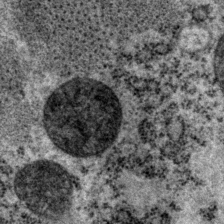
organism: P. pacificus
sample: Pharynx